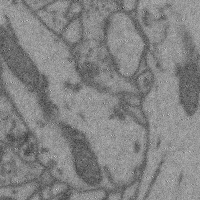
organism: Mouse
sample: Cerebral cortex